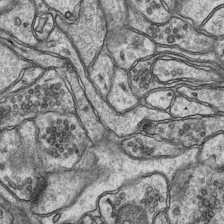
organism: Mouse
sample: CA1 Hippocampus